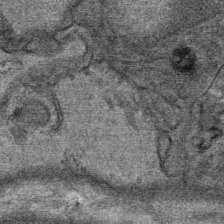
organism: Mouse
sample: Mouse Salivary gland